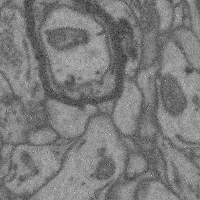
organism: Mouse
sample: Cerebral cortex